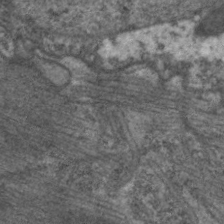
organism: C. elegans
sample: Pharynx